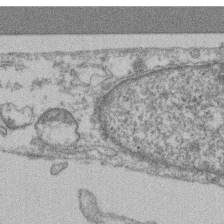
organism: Mouse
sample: T cell stromal cell synapse